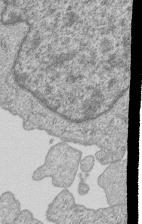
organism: Human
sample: MDA-MB-231 cells